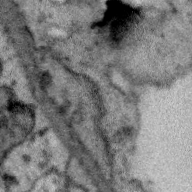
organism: Zebra finch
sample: Brain